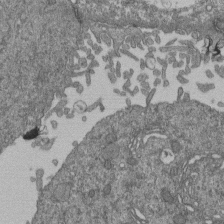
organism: Human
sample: Retinal organoid Rod and Cone cells